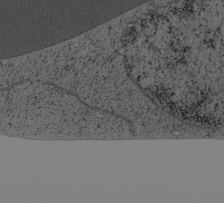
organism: African green monkey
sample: COS-7 cells